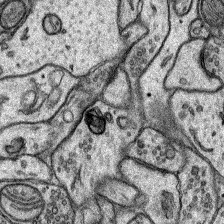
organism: Rat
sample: Hippocampus